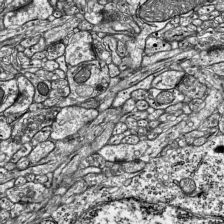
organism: Mouse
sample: Visual Cortex